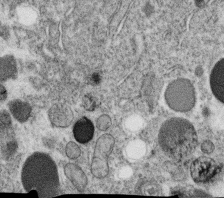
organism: C. elegans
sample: C. elegans oocyte; sperm cells